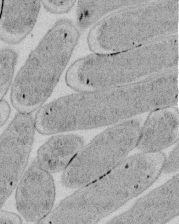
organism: E. coli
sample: Bacterial nucleoid